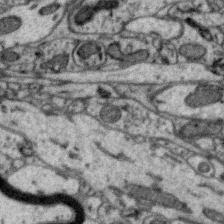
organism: Zebra finch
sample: Brain